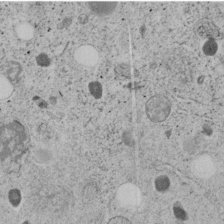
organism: C. elegans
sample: C. elegans embryo early stage